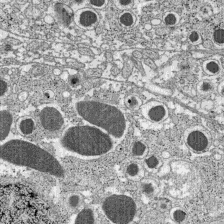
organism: C57BL Mouse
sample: Pancreatic islet